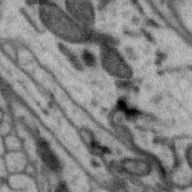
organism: Zebra finch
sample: Brain